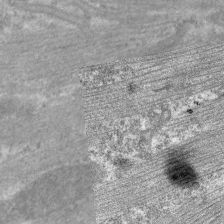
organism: C. elegans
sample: Pharynx